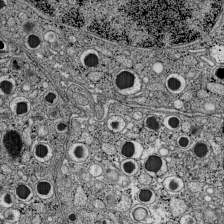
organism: C57BL Mouse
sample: Pancreatic islet